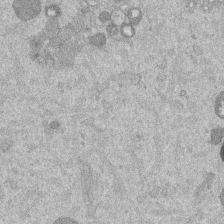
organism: Mouse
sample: Dividing mouse embryo 1 cell stage